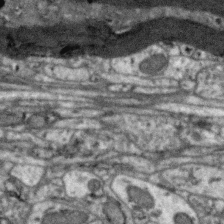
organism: Zebra finch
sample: Brain